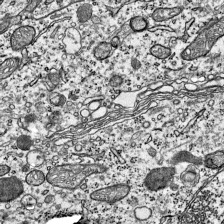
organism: Mouse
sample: Visual Cortex